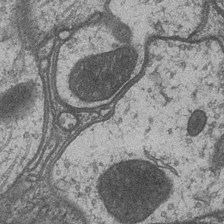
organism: Drosophila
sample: Optic medulla